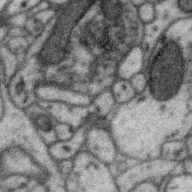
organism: Zebra finch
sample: Brain